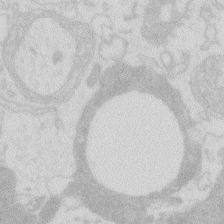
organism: Zebrafish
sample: Macrophage